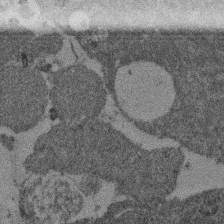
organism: Mouse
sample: Dividing mouse embryo 1 cell stage